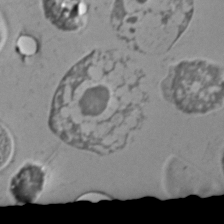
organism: C. elegans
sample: C. elegans embryo